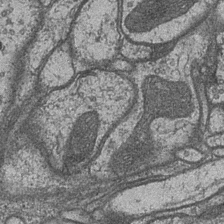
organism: Drosophila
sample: Optic medulla